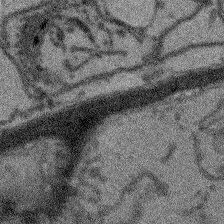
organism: Arabidopsis thaliana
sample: Root tip